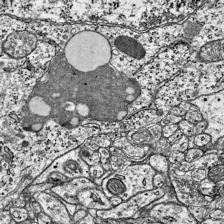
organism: Mouse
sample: Visual Cortex